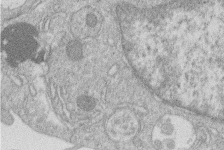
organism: Human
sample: Macrophage cells